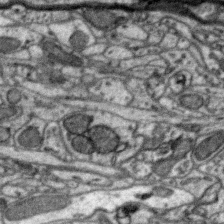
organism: Zebra finch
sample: Brain